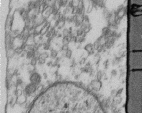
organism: Human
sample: Centriole in fibroblast cells